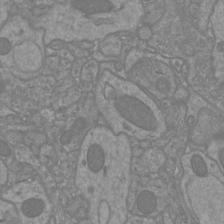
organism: Mouse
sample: Cortical neurons